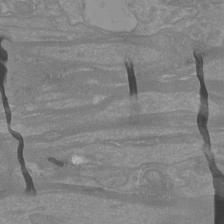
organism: Mouse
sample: Cortical neurons